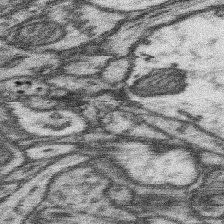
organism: Mouse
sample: Somatosensory cortex neuropil